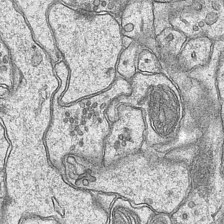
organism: Mouse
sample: CA1 Hippocampus